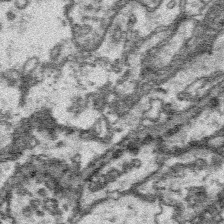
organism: Platynereis dumerilii